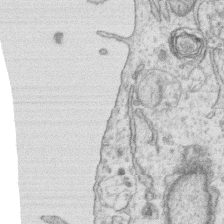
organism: Human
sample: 1205lu cells